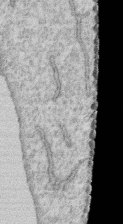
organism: Human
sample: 1205lu cells